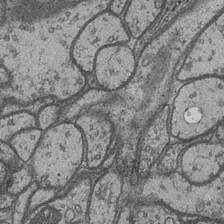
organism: Drosophila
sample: Optic medulla